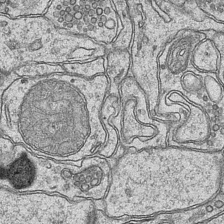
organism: Mouse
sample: CA1 Hippocampus